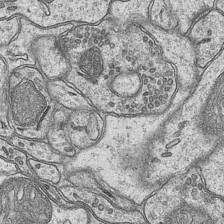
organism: Mouse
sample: CA1 Hippocampus